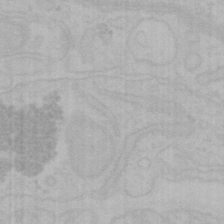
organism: Mouse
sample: Choroid plexus